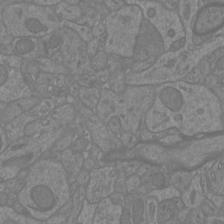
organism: Mouse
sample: Cortical neurons